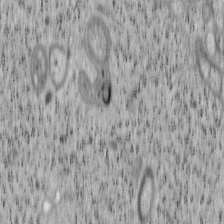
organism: Human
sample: HeLa cells